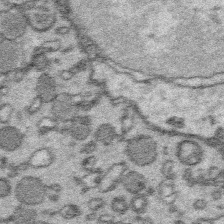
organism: Platynereis dumerilii